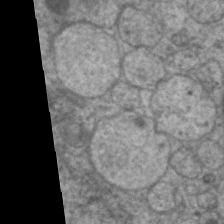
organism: C. elegans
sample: Pharynx